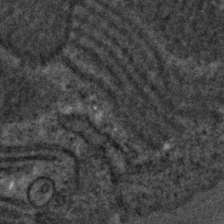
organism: C. elegans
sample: C. elegans embryo